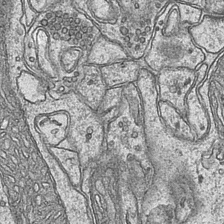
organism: Mouse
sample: CA1 Hippocampus